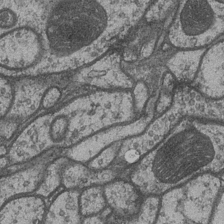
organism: Drosophila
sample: Optic medulla